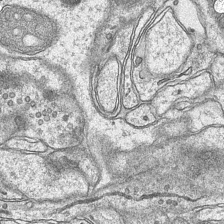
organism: Mouse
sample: CA1 Hippocampus